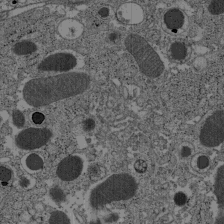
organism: C57BL Mouse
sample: Pancreatic islet